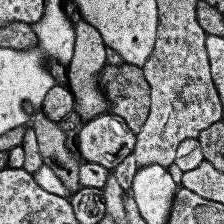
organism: Human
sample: Temporal Lobe